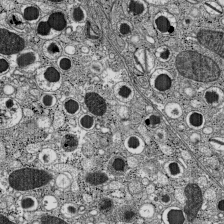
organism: C57BL Mouse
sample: Pancreatic islet